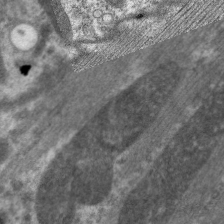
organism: C. elegans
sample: Pharynx